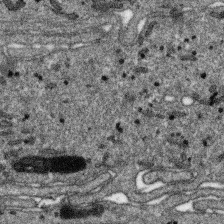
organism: Human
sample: Lung epithelial cells infected with SARS-CoV-2